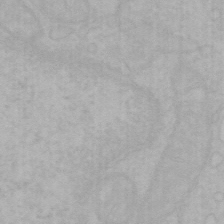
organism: Mouse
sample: Choroid plexus